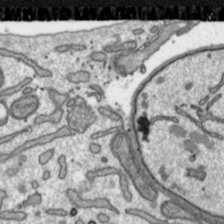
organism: Toxoplasma gondii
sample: Parasites in a vacuole inside a host cell